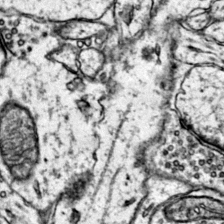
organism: Mouse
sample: Primary visual cortex